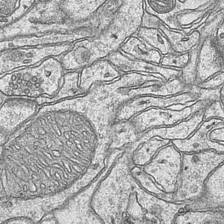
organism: Mouse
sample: CA1 Hippocampus